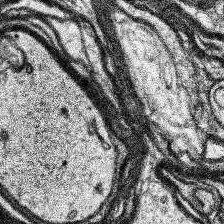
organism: Human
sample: Temporal Lobe